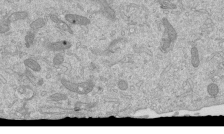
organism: Mouse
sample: ED-1 cell nuclei; centrioles